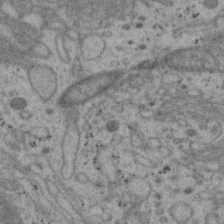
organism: Human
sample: HeLa cells